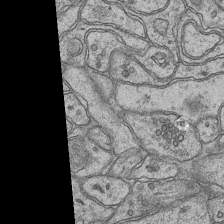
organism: Mouse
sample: CA1 Hippocampus